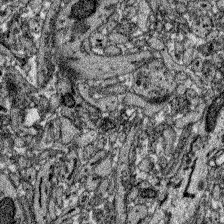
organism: Zebrafish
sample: Larval olfactory bulb